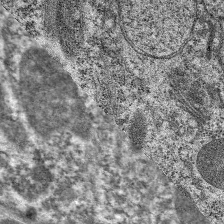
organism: C. elegans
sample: Pharynx